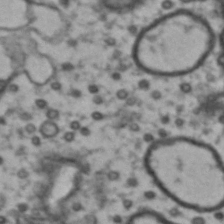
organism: Drosophila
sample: Brain